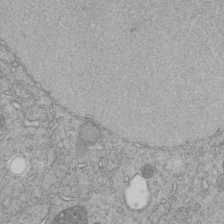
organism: C. elegans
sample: C. elegans embryo early stage